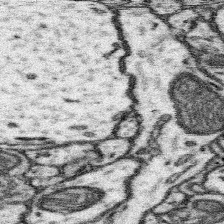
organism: Mouse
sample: Somatosensory cortex neuropil